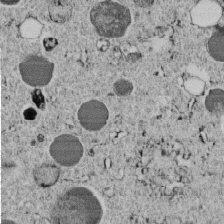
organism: C. elegans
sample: C. elegans embryo early stage